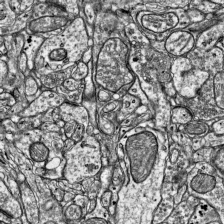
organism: Mouse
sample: Visual Cortex